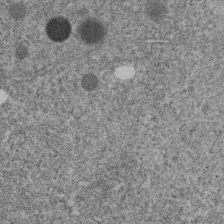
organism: C. elegans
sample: C. elegans embryo early stage